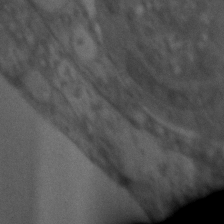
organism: Zebrafish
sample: Zebrafish embryo